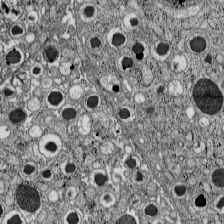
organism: C57BL Mouse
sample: Pancreatic islet